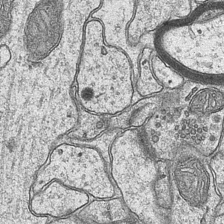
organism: Mouse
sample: CA1 Hippocampus